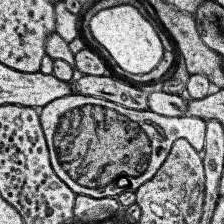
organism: Human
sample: Temporal Lobe